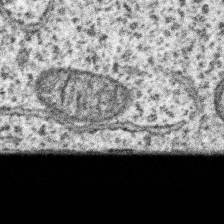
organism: Human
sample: HeLa cells